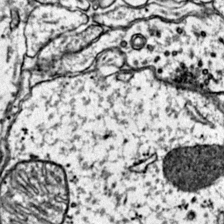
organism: Mouse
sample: Primary visual cortex